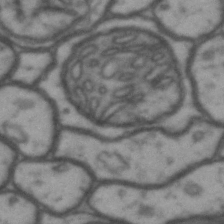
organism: Drosophila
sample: Brain